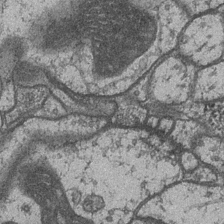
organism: Drosophila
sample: Optic medulla